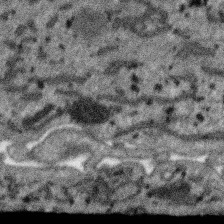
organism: Human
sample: Lung epithelial cells infected with SARS-CoV-2